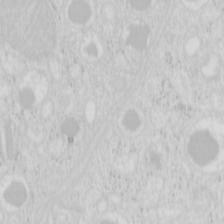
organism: Mouse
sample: Pancreas